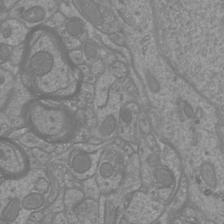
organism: Mouse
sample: Cortical neurons